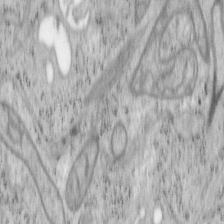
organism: Human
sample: HeLa cells